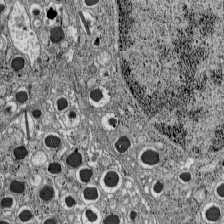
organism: C57BL Mouse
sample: Pancreatic islet